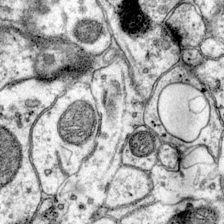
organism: Mouse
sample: Primary visual cortex